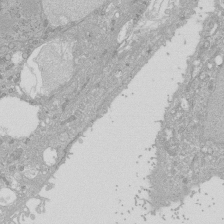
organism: Human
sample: Caco-2 cells